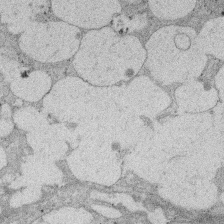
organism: Rat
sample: Salivary granule